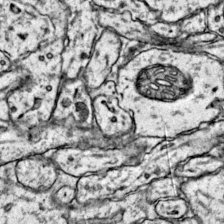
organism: Mouse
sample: Primary visual cortex